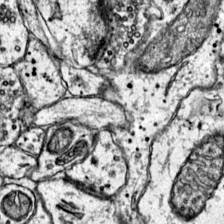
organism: Mouse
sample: Primary visual cortex